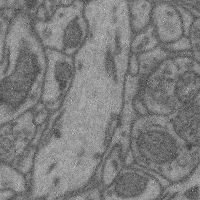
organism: Mouse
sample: Cerebral cortex